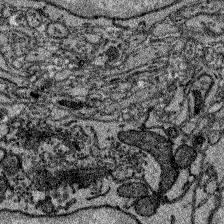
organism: Zebrafish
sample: Larval olfactory bulb